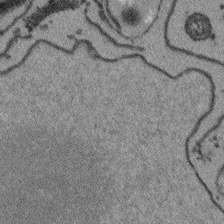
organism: Arabidopsis thaliana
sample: Root tip